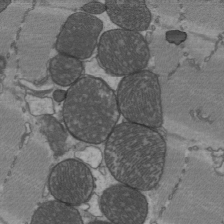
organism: C57BL Mouse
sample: Heart